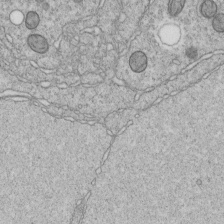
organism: C. elegans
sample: C. elegans embryo early stage